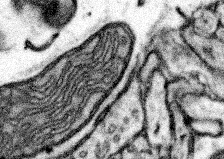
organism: Mouse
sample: Somatosensory cortex neuropil